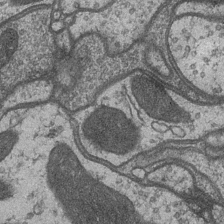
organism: Drosophila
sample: Optic medulla